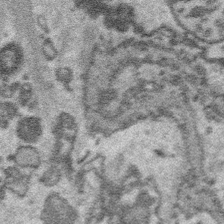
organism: Platynereis dumerilii